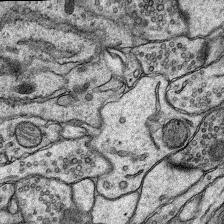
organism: Rat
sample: Hippocampus